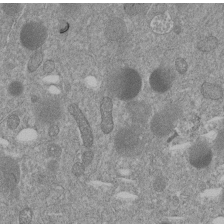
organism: C. elegans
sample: C. elegans embryo early stage